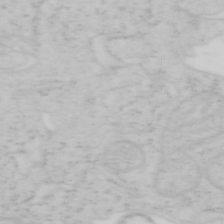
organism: Mouse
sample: OT-I killer T cells with ID8 ovarian cancer cells